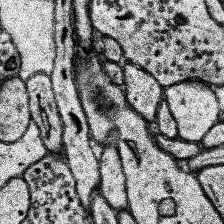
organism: Human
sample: Temporal Lobe